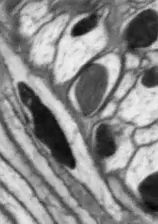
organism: Drosophila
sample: Optic lobe